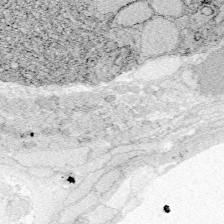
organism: Zebrafish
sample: Whole-Brain